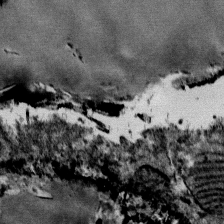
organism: Mouse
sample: Mouse Salivary gland